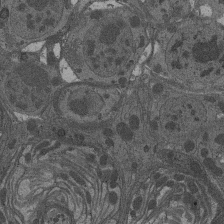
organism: Drosophila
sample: Antenna